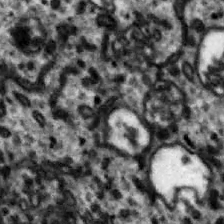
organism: Human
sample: HeLa cells